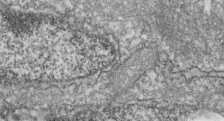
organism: Zebrafish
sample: Cilia; retinal pigment epithelium